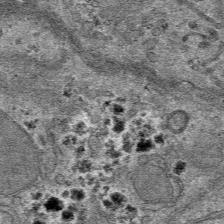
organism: Mouse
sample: Mouse hepatocytes